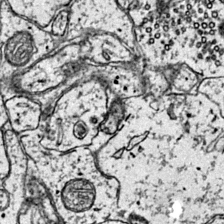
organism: Mouse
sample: Primary visual cortex